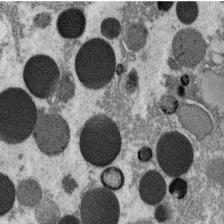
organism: C. elegans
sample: C. elegans oocyte; sperm cells